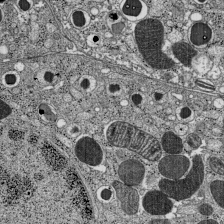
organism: C57BL Mouse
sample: Pancreatic islet